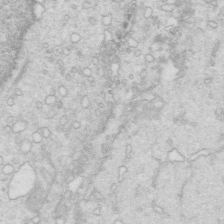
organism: Mouse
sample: Multiciliated cells